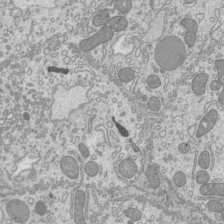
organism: Mouse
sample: Cilia; mouse epididymis